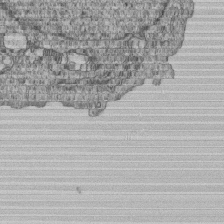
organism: Human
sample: MDA-MB-231 cells